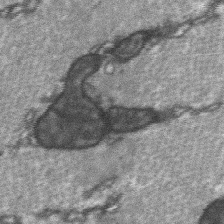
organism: C57BL Mouse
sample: Soleus